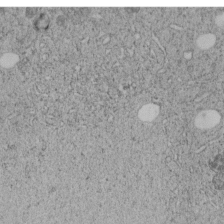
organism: C. elegans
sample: C. elegans embryo early stage